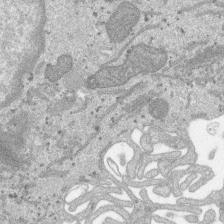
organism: Human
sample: Lung epithelial cells infected with SARS-CoV-2